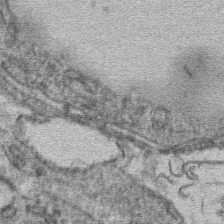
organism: Mouse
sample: Mouse hepatocytes